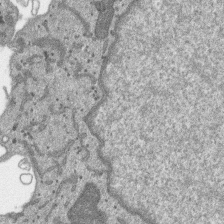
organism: Human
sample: Lung epithelial cells infected with SARS-CoV-2